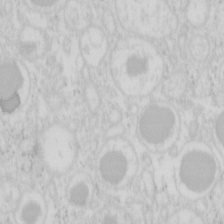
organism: Mouse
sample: Pancreas